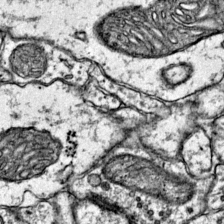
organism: Mouse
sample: Primary visual cortex